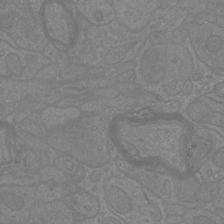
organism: Mouse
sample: Cortical neurons